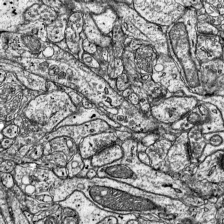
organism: Mouse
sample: Visual Cortex